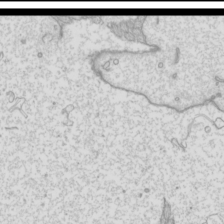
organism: Mouse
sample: Cilia; mouse epididymis